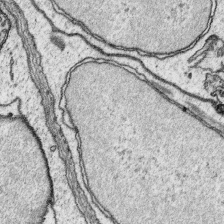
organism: Platynereis dumerilii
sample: Parapodia